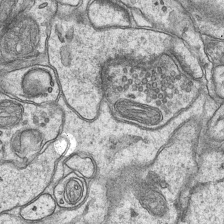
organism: Mouse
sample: CA1 Hippocampus